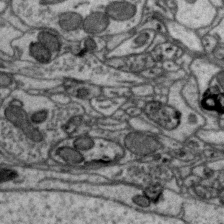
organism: Zebra finch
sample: Brain